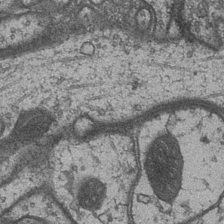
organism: Drosophila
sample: Optic medulla